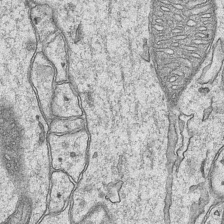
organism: Mouse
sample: CA1 Hippocampus